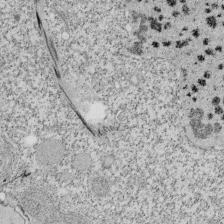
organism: Tetrahymena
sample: Cilia in tetrahymena